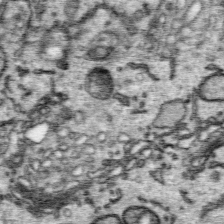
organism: Human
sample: HeLa cells